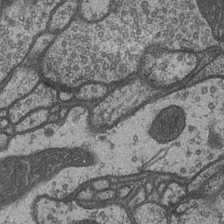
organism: Drosophila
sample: Optic medulla